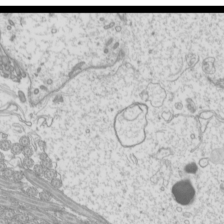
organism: Mouse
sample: Cilia; mouse epididymis